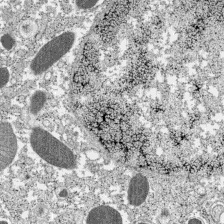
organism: C57BL Mouse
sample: Pancreatic islet